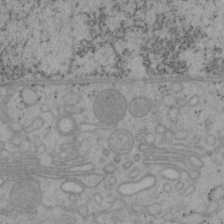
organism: Human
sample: HeLa cells